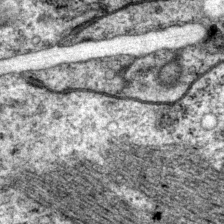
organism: P. pacificus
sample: Pharynx